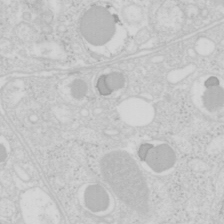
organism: Mouse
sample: Pancreas